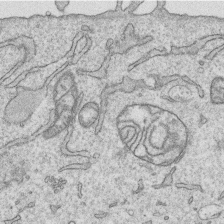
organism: Human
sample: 1205lu cells